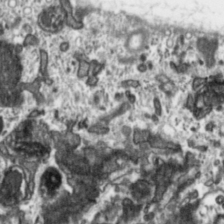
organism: Toxoplasma gondii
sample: Parasites in a vacuole inside a host cell